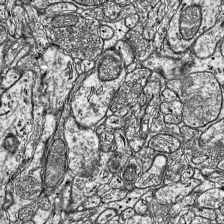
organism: Mouse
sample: Visual Cortex